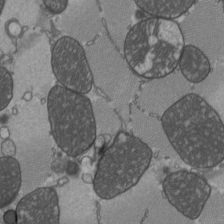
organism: C57BL Mouse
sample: Heart